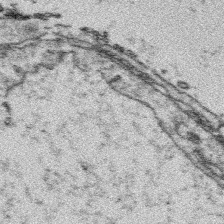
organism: Platynereis dumerilii